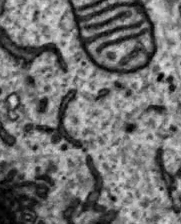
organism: Human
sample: HeLa cells